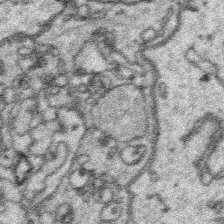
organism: Platynereis dumerilii